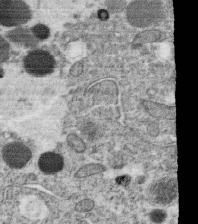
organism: C. elegans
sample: C. elegans oocyte; sperm cells